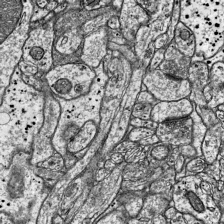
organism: Mouse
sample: Visual Cortex